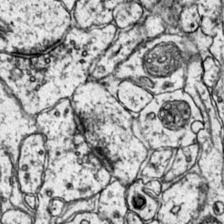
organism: Mouse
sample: Primary visual cortex